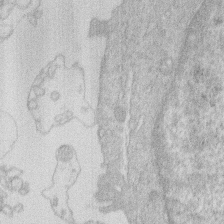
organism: Human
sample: Macrophage cells